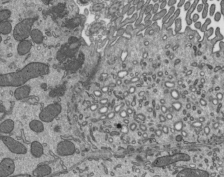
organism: Mouse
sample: Mouse epididymis efferent ductule cilia